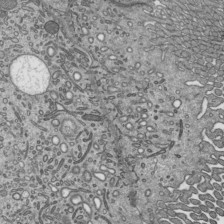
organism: Mouse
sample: Mouse epididymis efferent ductule cilia